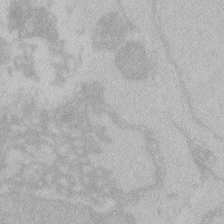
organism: Zebrafish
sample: Macrophage infected with Toxoplasma gondii